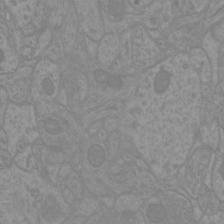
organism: Mouse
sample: Cortical neurons